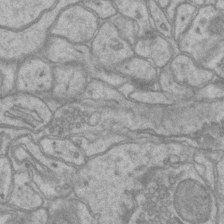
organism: Mouse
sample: CA1 Hippocampus